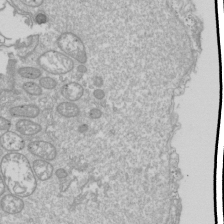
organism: Drosophila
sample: Cell division; meiosis; drosophila spermatocytes